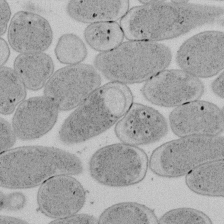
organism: E. coli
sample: Bacterial nucleoid